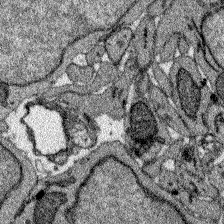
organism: Zebrafish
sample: Larval olfactory bulb